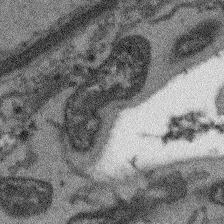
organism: Arabidopsis thaliana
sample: Root tip